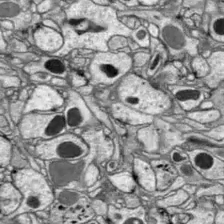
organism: Drosophila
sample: Optic lobe